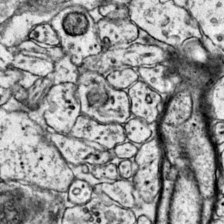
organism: Mouse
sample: Primary visual cortex